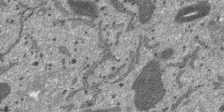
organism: Human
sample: Lung epithelial cells infected with SARS-CoV-2